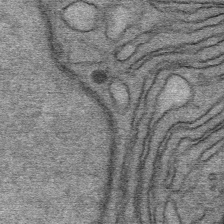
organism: Mouse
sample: Mouse Salivary gland